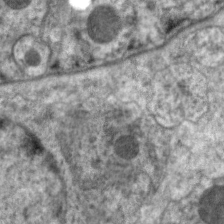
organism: C. elegans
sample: Pharynx